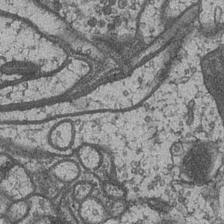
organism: Drosophila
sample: Optic medulla